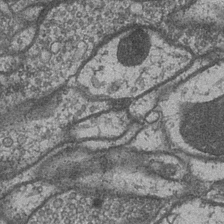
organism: Drosophila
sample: Optic medulla